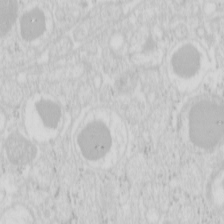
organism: Mouse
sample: Pancreas